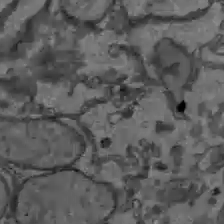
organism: C57BL Mouse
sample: Liver